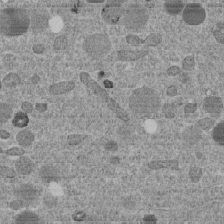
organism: C. elegans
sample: C. elegans embryo early stage